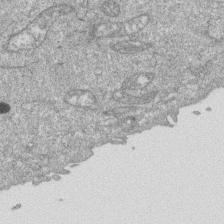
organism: Human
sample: HeLa cell HIV synapse